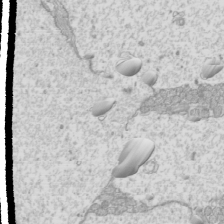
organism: Mouse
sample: Cilia; mouse epididymis